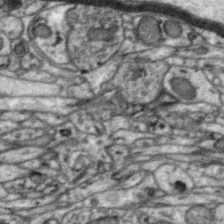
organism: Zebra finch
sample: Brain